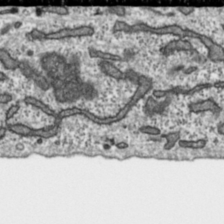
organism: Toxoplasma gondii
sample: Parasites in a vacuole inside a host cell